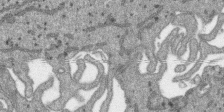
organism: Human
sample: Lung epithelial cells infected with SARS-CoV-2